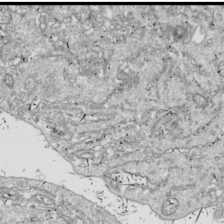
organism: Drosophila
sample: Cell division; meiosis; drosophila spermatocytes